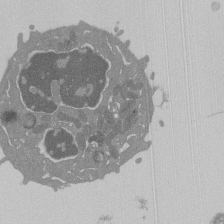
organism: Mouse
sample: Activated Pmel transgenic CD8+ T Cells